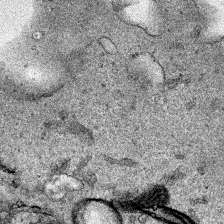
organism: Human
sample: Mitochondria in HCT116 cells